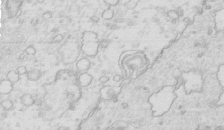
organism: Mouse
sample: Multiciliated cells